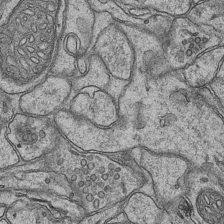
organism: Mouse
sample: CA1 Hippocampus